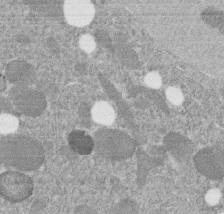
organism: C. elegans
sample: C. elegans embryo early stage